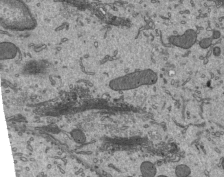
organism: Mouse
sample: Mouse epididymis efferent ductule cilia